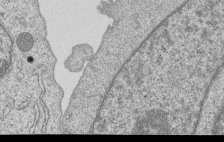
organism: Human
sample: MDA-MB-231 cells